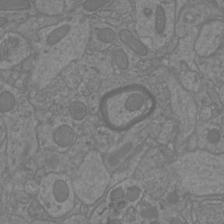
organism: Mouse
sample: Cortical neurons